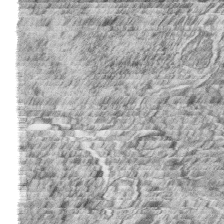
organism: Zebrafish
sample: synaptic ribbons in rod cells and cone cells